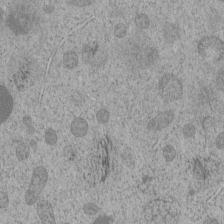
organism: C. elegans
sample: C. elegans embryo early stage